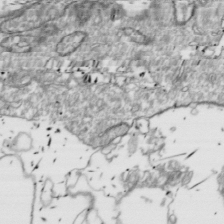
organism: Drosophila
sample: Cell division; meiosis; drosophila spermatocytes